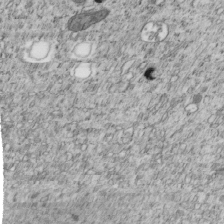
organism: C. elegans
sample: C. elegans embryo early stage